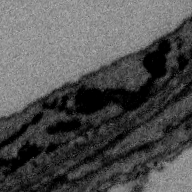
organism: Zebra finch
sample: Brain